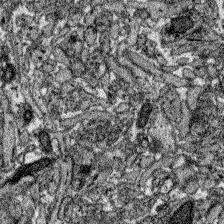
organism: Zebrafish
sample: Larval olfactory bulb